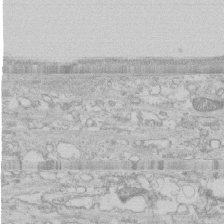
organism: Human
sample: CRL-1474